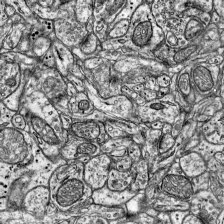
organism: Mouse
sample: Visual Cortex